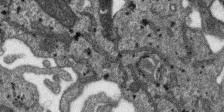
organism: Human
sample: Lung epithelial cells infected with SARS-CoV-2